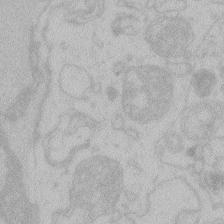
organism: Zebrafish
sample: Macrophage infected with Toxoplasma gondii